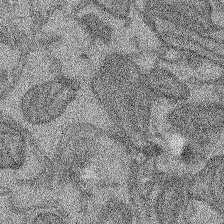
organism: Human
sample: HeLa cells